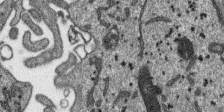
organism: Human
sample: Lung epithelial cells infected with SARS-CoV-2